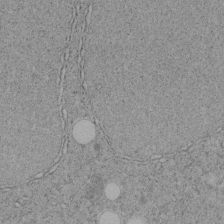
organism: C. elegans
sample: C. elegans embryo early stage